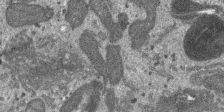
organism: Human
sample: Lung epithelial cells infected with SARS-CoV-2